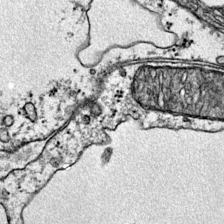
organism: Mouse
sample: Primary visual cortex